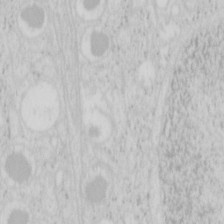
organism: Mouse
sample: Pancreas